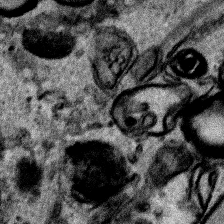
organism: Human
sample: Mitochondria in HCT116 cells